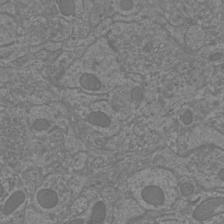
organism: Mouse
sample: Cortical neurons